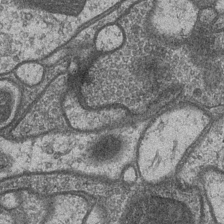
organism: Drosophila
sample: Optic medulla